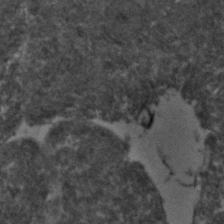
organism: Zebrafish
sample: Zebrafish embryo